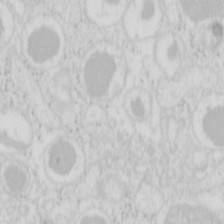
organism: Mouse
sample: Pancreas